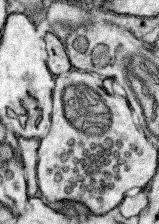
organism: Mouse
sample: Somatosensory cortex neuropil